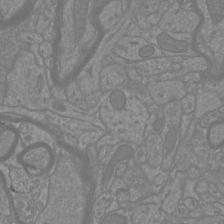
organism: Mouse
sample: Cortical neurons